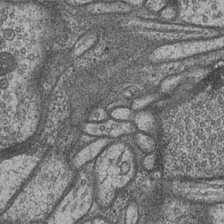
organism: Drosophila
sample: Optic medulla